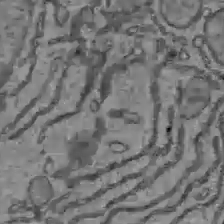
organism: C57BL Mouse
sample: Liver